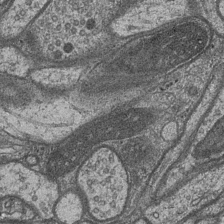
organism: Drosophila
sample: Optic medulla